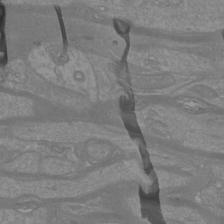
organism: Mouse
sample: Cortical neurons